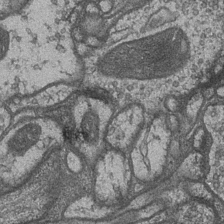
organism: Drosophila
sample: Optic medulla